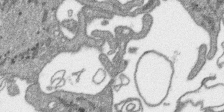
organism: Human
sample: Lung epithelial cells infected with SARS-CoV-2